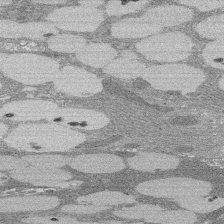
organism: Rat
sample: Salivary granule